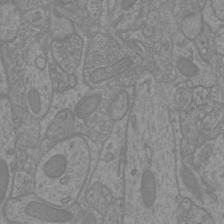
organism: Mouse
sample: Cortical neurons